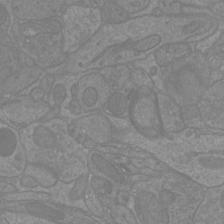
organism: Mouse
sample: Cortical neurons